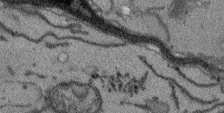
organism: Arabidopsis thaliana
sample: Root tip